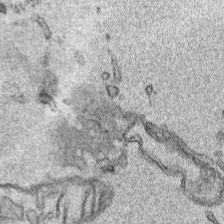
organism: Human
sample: Mitochondria in HCT116 cells